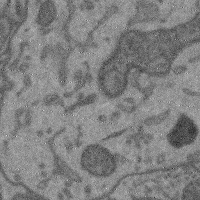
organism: Mouse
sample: Cerebral cortex